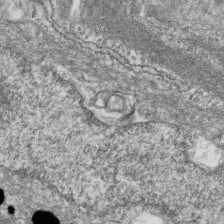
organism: Zebrafish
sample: Cilia; retinal pigment epithelium